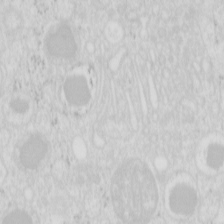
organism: Mouse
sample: Pancreas